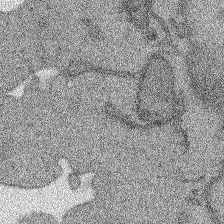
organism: Human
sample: HeLa cells